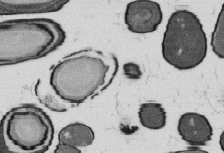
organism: B. subtilis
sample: Bacterial spore